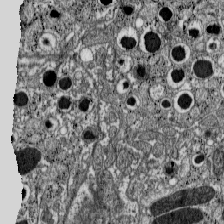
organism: C57BL Mouse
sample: Pancreatic islet